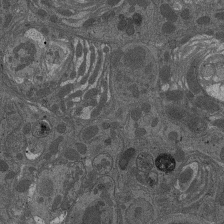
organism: Drosophila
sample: Antenna